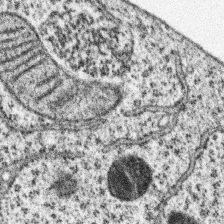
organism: Human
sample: HeLa cells